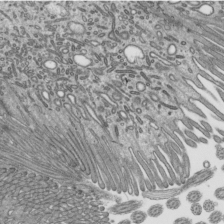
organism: Mouse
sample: Mouse epididymis efferent ductule cilia